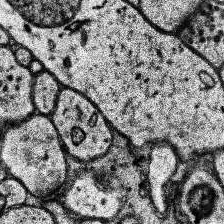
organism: Human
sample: Temporal Lobe